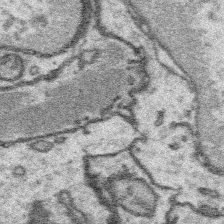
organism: Platynereis dumerilii